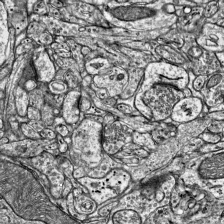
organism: Mouse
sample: Visual Cortex